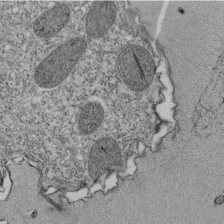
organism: Tetrahymena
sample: Cilia in tetrahymena